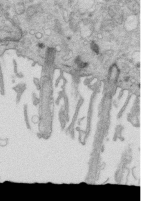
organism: Mouse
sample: Multiciliated cells